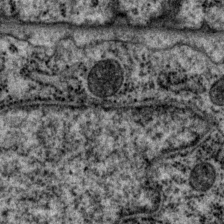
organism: P. pacificus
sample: Pharynx